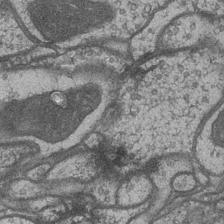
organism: Drosophila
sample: Optic medulla